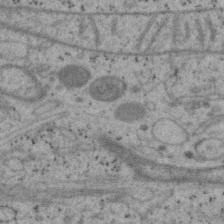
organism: Human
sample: HeLa cells